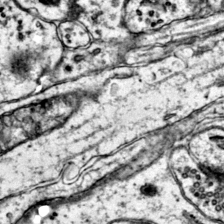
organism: Mouse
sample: Primary visual cortex